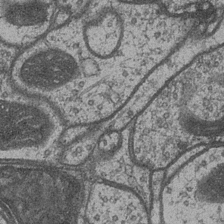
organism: Drosophila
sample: Optic medulla